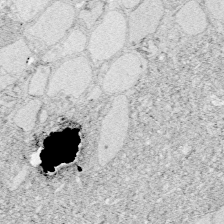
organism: Zebrafish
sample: Whole-Brain